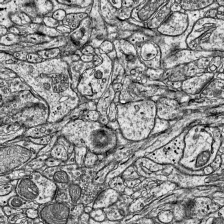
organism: Mouse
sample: Visual Cortex